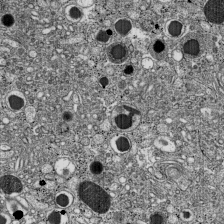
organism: C57BL Mouse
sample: Pancreatic islet